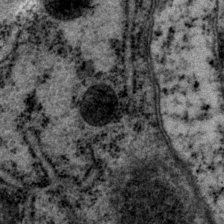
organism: P. pacificus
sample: Pharynx